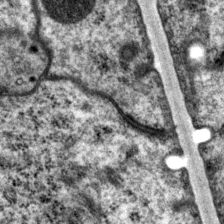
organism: P. pacificus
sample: Pharynx